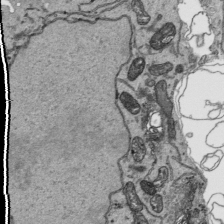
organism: Human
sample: Mitochondria in HCT116 cells